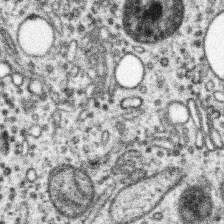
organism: Human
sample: HeLa cells